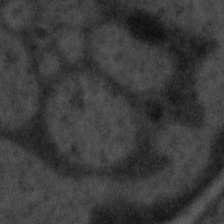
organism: Tuwongella immobilis